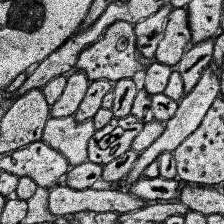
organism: Human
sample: Temporal Lobe